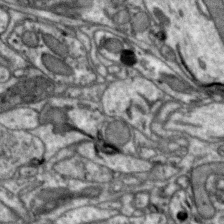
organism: Zebra finch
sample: Brain